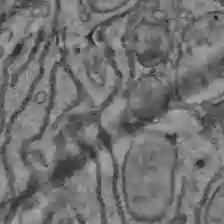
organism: C57BL Mouse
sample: Liver